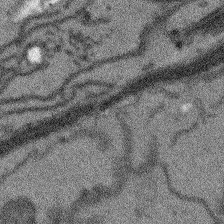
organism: Arabidopsis thaliana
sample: Root tip